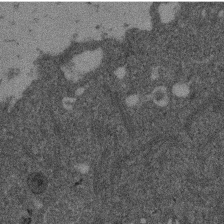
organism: Mouse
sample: Dividing mouse embryo 1 cell stage